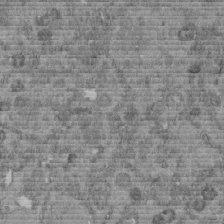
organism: C. elegans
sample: C. elegans embryo early stage